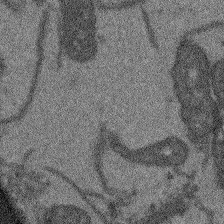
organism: Arabidopsis thaliana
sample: Root tip